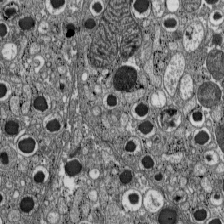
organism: C57BL Mouse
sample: Pancreatic islet